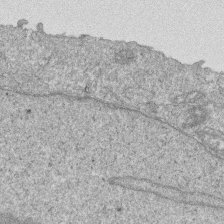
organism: Human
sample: HeLa cell HIV synapse